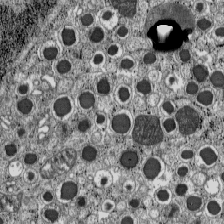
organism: C57BL Mouse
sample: Pancreatic islet